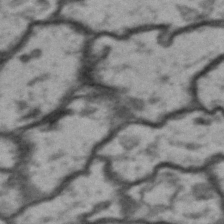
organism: Drosophila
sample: Brain